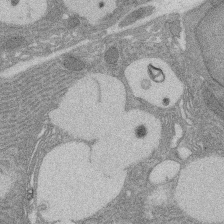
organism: Rat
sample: Salivary granule